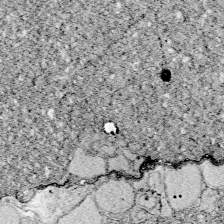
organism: Zebrafish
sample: Whole-Brain